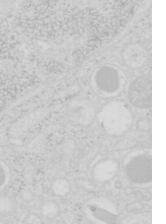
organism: Mouse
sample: Pancreas